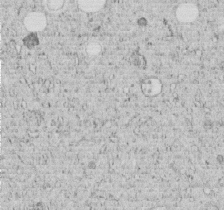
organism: C. elegans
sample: C. elegans embryo early stage